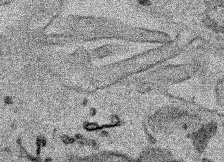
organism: Human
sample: Mitochondria in HCT116 cells